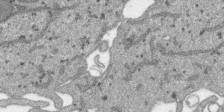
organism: Human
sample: Lung epithelial cells infected with SARS-CoV-2